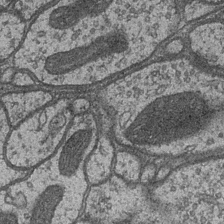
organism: Drosophila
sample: Optic medulla